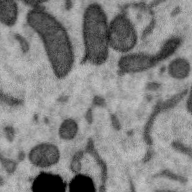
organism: Zebra finch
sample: Brain